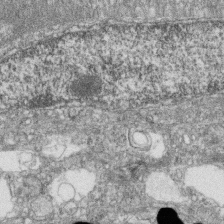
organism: Zebrafish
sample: Cilia; retinal pigment epithelium